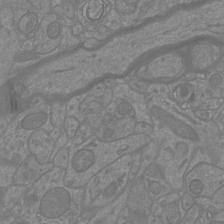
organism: Mouse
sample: Cortical neurons